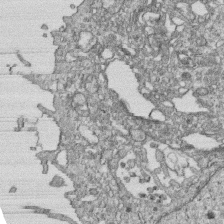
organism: Human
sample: HeLa cell HIV synapse